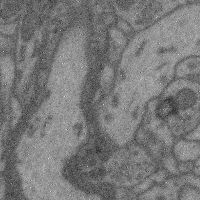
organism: Mouse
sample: Cerebral cortex